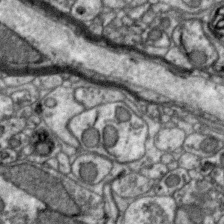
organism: Zebra finch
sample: Brain